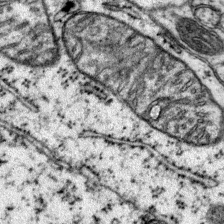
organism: Mouse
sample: Primary visual cortex